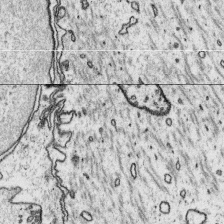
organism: Platynereis dumerilii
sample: Parapodia